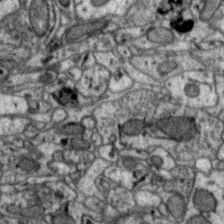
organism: Zebra finch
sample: Brain